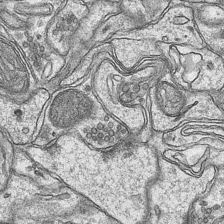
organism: Mouse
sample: CA1 Hippocampus